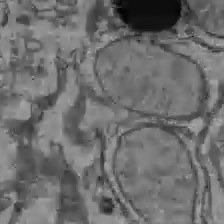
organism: C57BL Mouse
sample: Liver